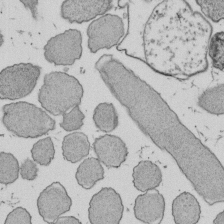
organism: E. coli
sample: Bacterial nucleoid